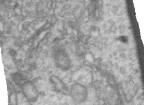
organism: Human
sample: Centriole in RPE cells